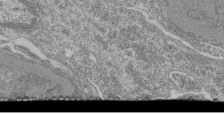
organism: Mouse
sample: Glomerulus